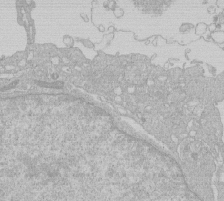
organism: Human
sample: Macrophage cells